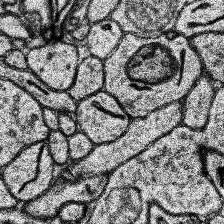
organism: Human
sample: Temporal Lobe